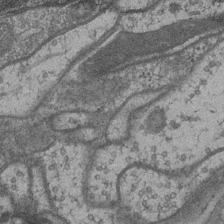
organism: Drosophila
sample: Optic medulla